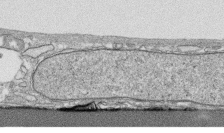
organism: Human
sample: CRL-1474